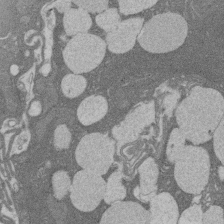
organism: Rat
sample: Salivary granule